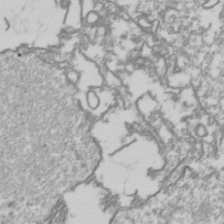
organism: Drosophila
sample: Cell division; meiosis; drosophila spermatocytes